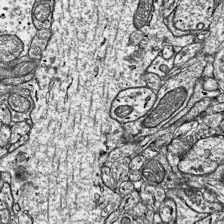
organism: Mouse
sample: Visual Cortex